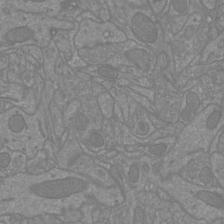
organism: Mouse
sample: Cortical neurons